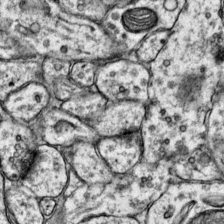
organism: Mouse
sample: Primary visual cortex